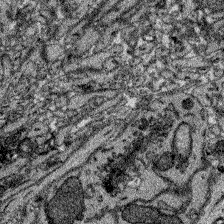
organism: Zebrafish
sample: Larval olfactory bulb